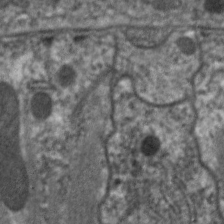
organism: C. elegans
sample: Pharynx